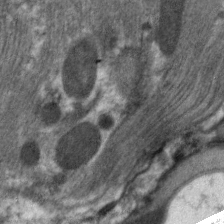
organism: C. elegans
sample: Pharynx